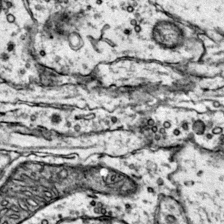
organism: Mouse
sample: Primary visual cortex